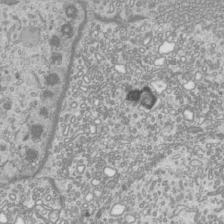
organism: Mouse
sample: Cilia; mouse epididymis